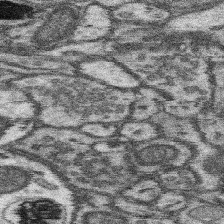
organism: Mouse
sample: Somatosensory cortex neuropil